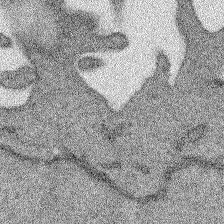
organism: Human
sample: HeLa cells